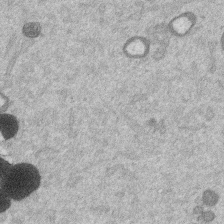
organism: Mouse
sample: Dividing mouse embryo 1 cell stage